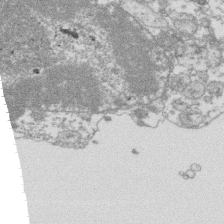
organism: Human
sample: HeLa cell HIV synapse